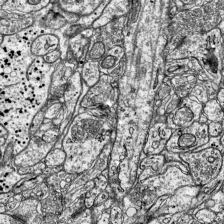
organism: Mouse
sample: Visual Cortex